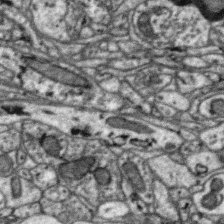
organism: Zebra finch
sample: Brain